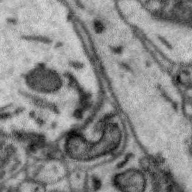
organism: Zebra finch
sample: Brain